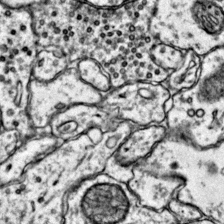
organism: Mouse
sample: Primary visual cortex